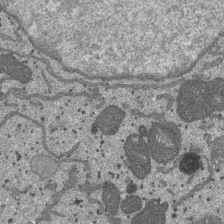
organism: Human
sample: Lung epithelial cells infected with SARS-CoV-2